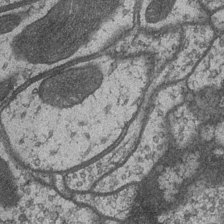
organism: Drosophila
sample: Optic medulla